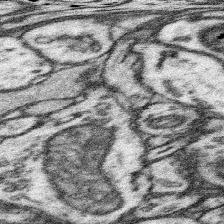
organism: Mouse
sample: Somatosensory cortex neuropil